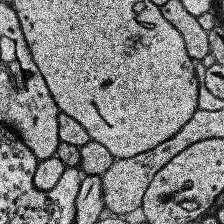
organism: Human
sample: Temporal Lobe